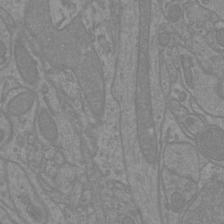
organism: Mouse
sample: Cortical neurons